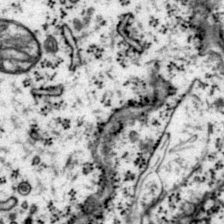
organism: Mouse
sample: Primary visual cortex